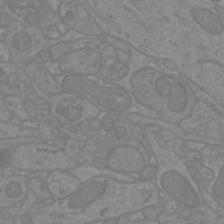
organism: Mouse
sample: Cortical neurons